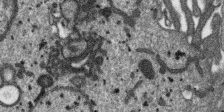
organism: Human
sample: Lung epithelial cells infected with SARS-CoV-2